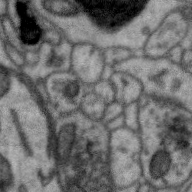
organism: Zebra finch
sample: Brain